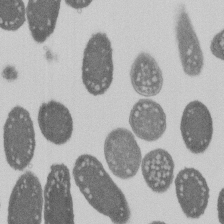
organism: E. coli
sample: Bacterial nucleoid